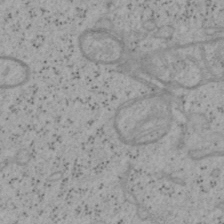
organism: Human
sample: HeLa cells